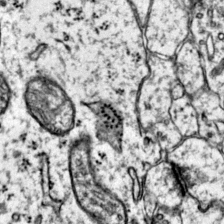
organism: Mouse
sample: Primary visual cortex